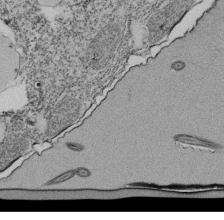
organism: Tetrahymena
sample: Cilia in tetrahymena